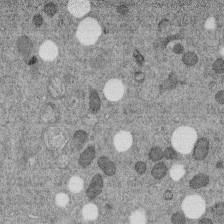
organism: C. elegans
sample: C. elegans embryo early stage